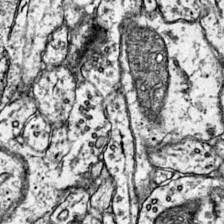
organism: Mouse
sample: Primary visual cortex